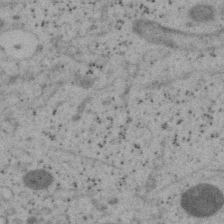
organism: Human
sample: HeLa cells